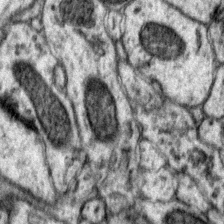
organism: Mouse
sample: Primary visual cortex